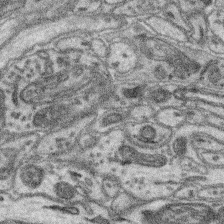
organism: Mouse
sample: Retina